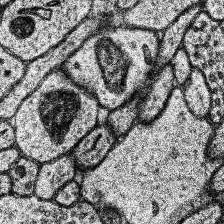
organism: Human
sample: Temporal Lobe